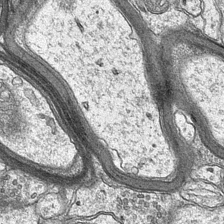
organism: Mouse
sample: CA1 Hippocampus